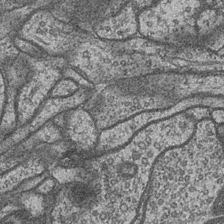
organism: Drosophila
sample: Optic medulla